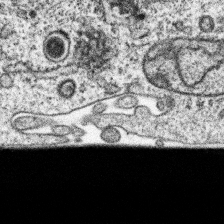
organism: Human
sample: HeLa cells